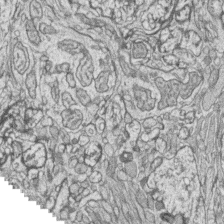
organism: Zebrafish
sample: synaptic ribbons in rod cells and cone cells